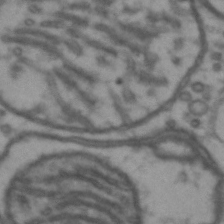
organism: Drosophila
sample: Brain